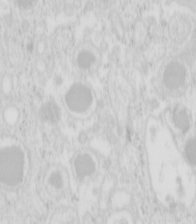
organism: Mouse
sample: Pancreas